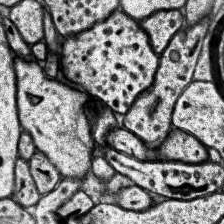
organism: Human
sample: Temporal Lobe